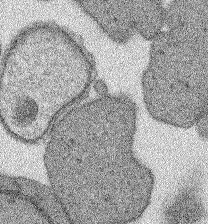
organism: Human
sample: HeLa cells